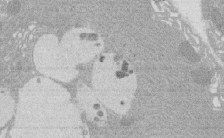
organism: Rat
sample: Salivary granule